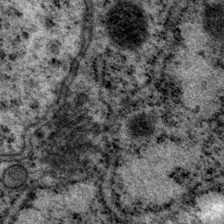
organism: P. pacificus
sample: Pharynx